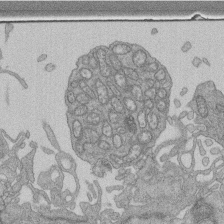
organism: Human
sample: Retinal organoid Rod and Cone cells